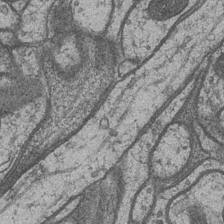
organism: Drosophila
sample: Optic medulla